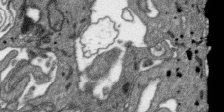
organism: Human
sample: Lung epithelial cells, uninfected (mock) control